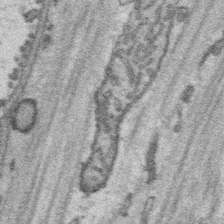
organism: Platynereis dumerilii